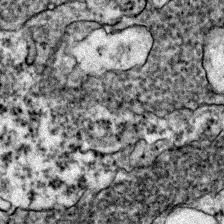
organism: Zebrafish